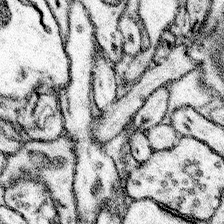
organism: Mouse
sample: Somatosensory cortex neuropil